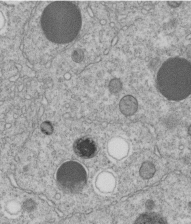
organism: C. elegans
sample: C. elegans embryo early stage